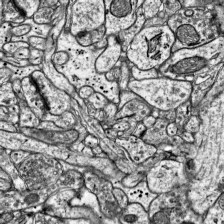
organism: Mouse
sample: Visual Cortex